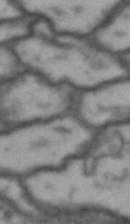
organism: Drosophila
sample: Brain